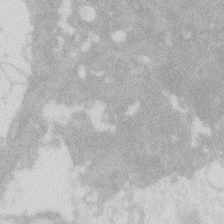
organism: Zebrafish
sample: Macrophage